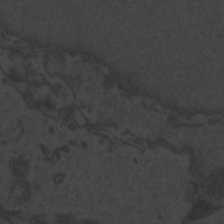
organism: Zebrafish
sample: Macrophage infected with Toxoplasma gondii